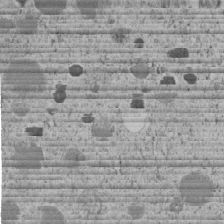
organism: C. elegans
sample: C. elegans embryo early stage